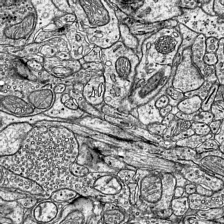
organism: Mouse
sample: Visual Cortex